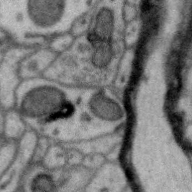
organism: Zebra finch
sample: Brain